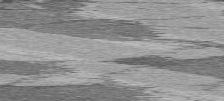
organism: C57BL Mouse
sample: Heart